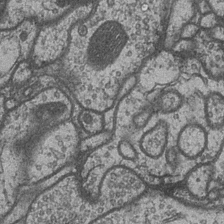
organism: Drosophila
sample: Optic medulla